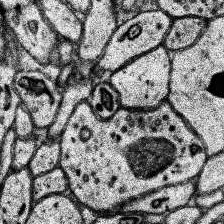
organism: Human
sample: Temporal Lobe